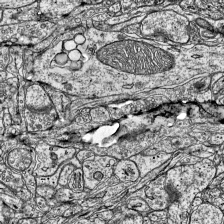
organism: Mouse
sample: Visual Cortex